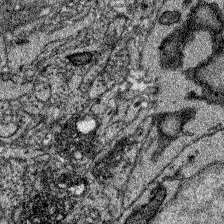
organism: Zebrafish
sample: Larval olfactory bulb